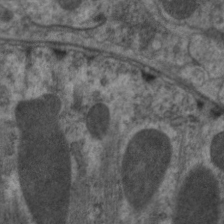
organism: C. elegans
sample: Pharynx